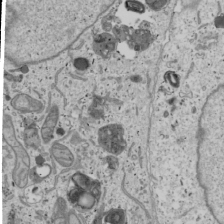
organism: Human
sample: Mitochondria in U2OS cells